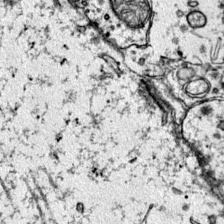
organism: Mouse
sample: Primary visual cortex